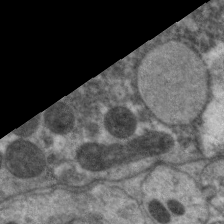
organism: C. elegans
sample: Pharynx